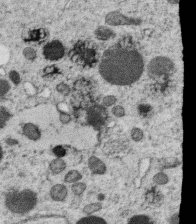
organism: C. elegans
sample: C. elegans oocyte; sperm cells